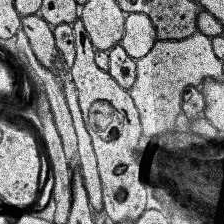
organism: Human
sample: Temporal Lobe